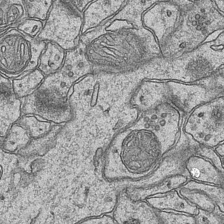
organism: Mouse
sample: CA1 Hippocampus